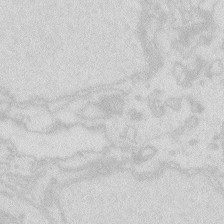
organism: Zebrafish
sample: Macrophage